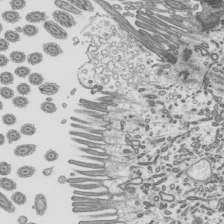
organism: Mouse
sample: Mouse epididymis efferent ductule cilia